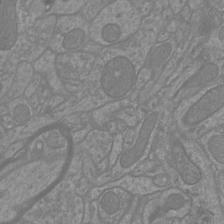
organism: Mouse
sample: Cortical neurons